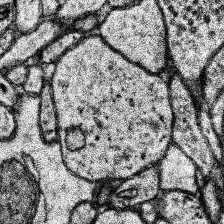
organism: Human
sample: Temporal Lobe